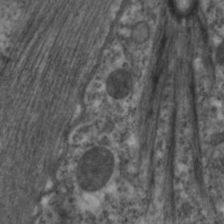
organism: C. elegans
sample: Pharynx